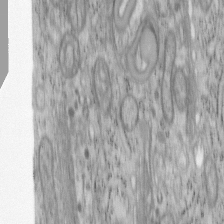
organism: Human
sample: HeLa cells